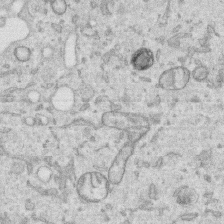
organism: Human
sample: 1205lu cells